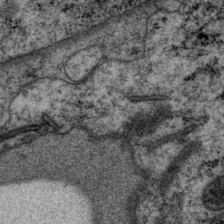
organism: P. pacificus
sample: Pharynx